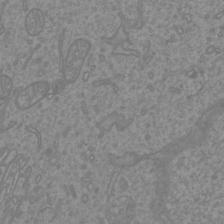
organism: Mouse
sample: Cortical neurons